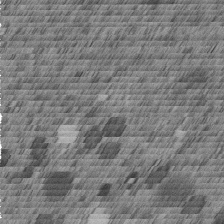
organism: C. elegans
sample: C. elegans embryo early stage